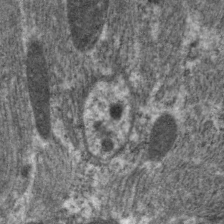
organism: C. elegans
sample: Pharynx